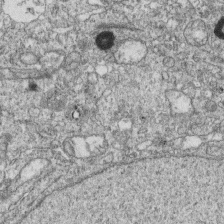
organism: Human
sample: HeLa cell HIV synapse